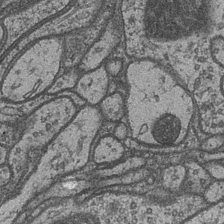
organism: Drosophila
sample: Optic medulla